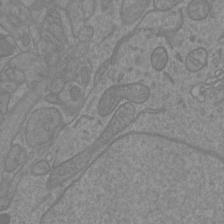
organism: Mouse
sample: Cortical neurons